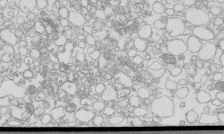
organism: Mouse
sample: Macrophages